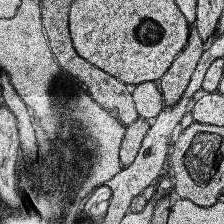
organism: Human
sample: Temporal Lobe